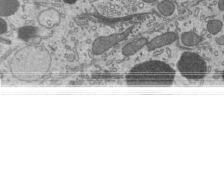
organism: Mouse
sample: Mouse epididymis efferent ductule cilia